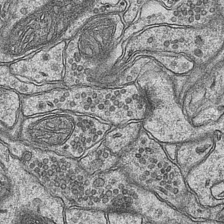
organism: Mouse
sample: CA1 Hippocampus